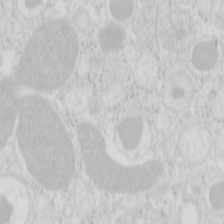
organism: Mouse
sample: Pancreas